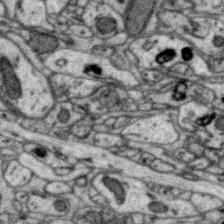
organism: Zebra finch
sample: Brain